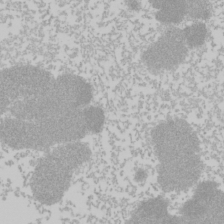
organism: Mouse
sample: Cancer cell death in ED-1 cells